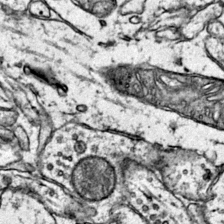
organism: Mouse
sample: Primary visual cortex